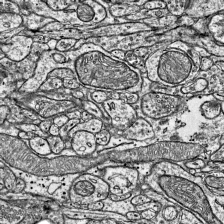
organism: Mouse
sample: Visual Cortex